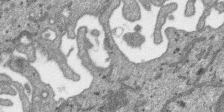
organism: Human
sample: Lung epithelial cells infected with SARS-CoV-2